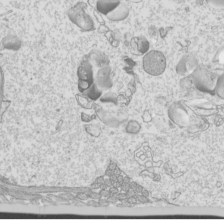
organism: Mouse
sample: Cilia; mouse epididymis